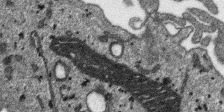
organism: Human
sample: Lung epithelial cells infected with SARS-CoV-2